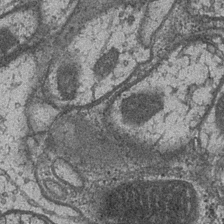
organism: Drosophila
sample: Optic medulla